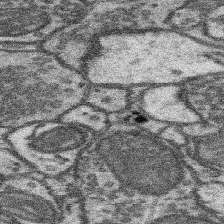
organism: Mouse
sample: Somatosensory cortex neuropil